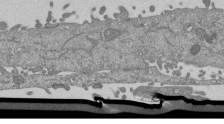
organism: Mouse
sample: ED-1 cell nuclei; centrioles